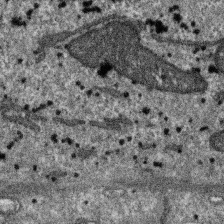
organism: Human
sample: Lung epithelial cells infected with SARS-CoV-2